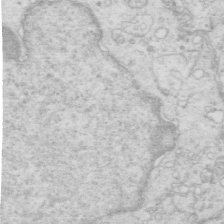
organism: Mouse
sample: Multiciliated cells